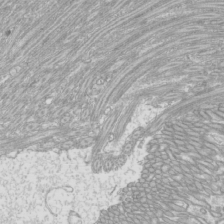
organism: Mouse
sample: Cilia; mouse epididymis